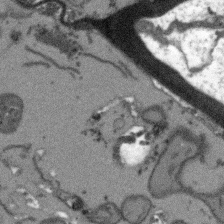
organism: Arabidopsis thaliana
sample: Root tip